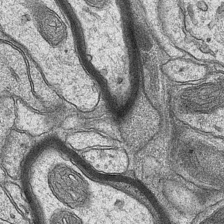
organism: Mouse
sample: CA1 Hippocampus